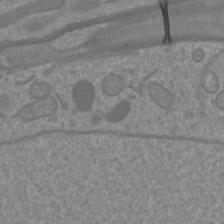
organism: Mouse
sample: Cortical neurons